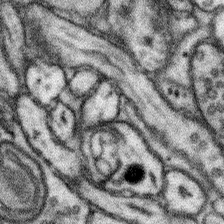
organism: Mouse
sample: Somatosensory cortex neuropil